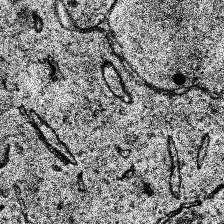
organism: Human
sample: Temporal Lobe